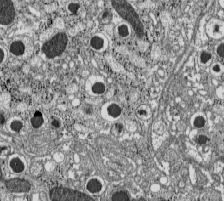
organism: C57BL Mouse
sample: Pancreatic islet